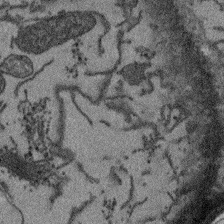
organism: Arabidopsis thaliana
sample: Root tip